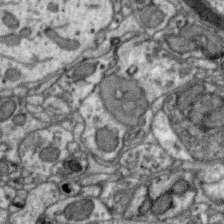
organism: Zebra finch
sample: Brain